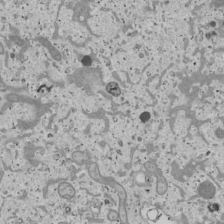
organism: Human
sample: Mitochondria in U2OS cells